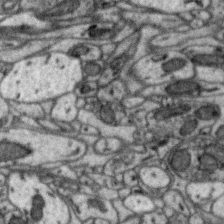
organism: Zebra finch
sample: Brain